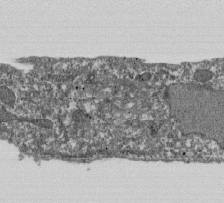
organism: Dictyostelium discoideum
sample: Dictyostelium multivesicular bodies